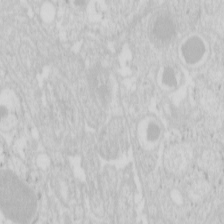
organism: Mouse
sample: Pancreas